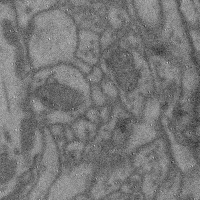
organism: Mouse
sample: Cerebral cortex